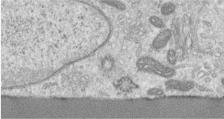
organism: Human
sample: Centriole in RPE cells